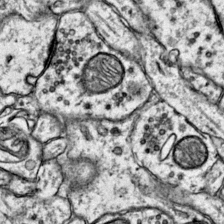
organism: Mouse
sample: Primary visual cortex